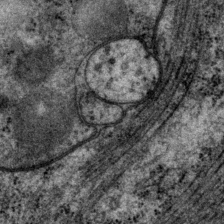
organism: P. pacificus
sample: Pharynx